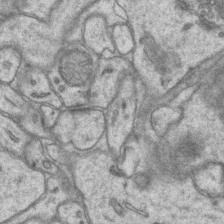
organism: Mouse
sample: CA1 Hippocampus